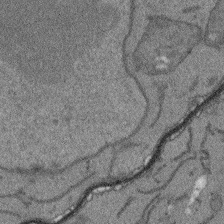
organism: Arabidopsis thaliana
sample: Root tip